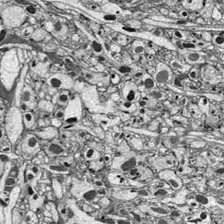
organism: Drosophila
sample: Optic lobe